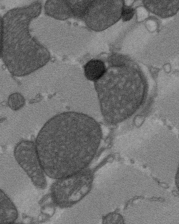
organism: C57BL Mouse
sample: Heart